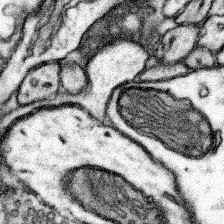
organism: Mouse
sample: Somatosensory cortex neuropil